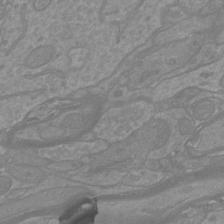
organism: Mouse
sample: Cortical neurons